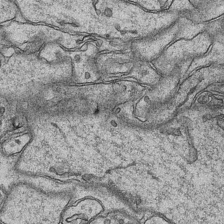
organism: Mouse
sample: CA1 Hippocampus